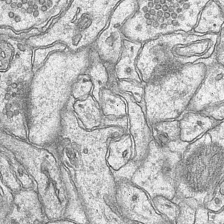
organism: Mouse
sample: CA1 Hippocampus